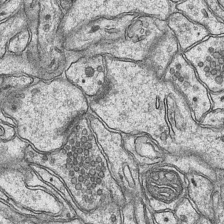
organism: Mouse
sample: CA1 Hippocampus